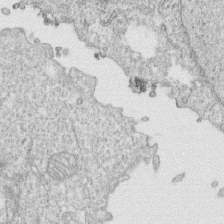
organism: Human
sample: HeLa cell HIV synapse